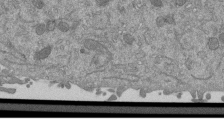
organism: Mouse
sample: ED-1 cell nuclei; centrioles